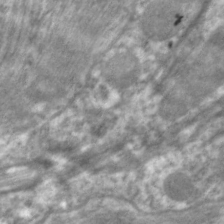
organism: C. elegans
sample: Pharynx